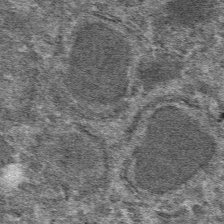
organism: Mouse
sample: Mouse hepatocytes